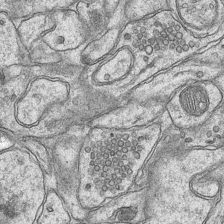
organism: Mouse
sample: CA1 Hippocampus